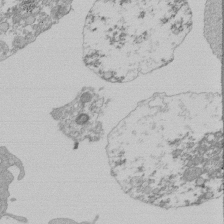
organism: Mouse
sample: Activated Pmel transgenic CD8+ T Cells